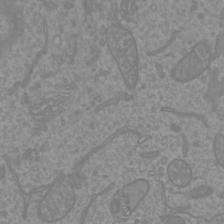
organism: Mouse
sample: Cortical neurons